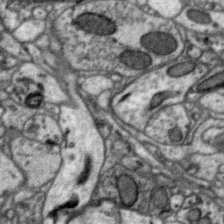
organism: Zebra finch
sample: Brain